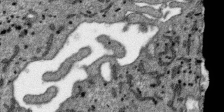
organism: Human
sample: Lung epithelial cells, uninfected (mock) control